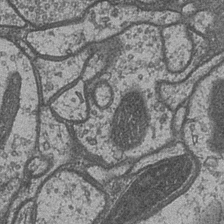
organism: Drosophila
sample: Optic medulla